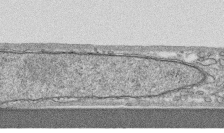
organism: Human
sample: CRL-1474